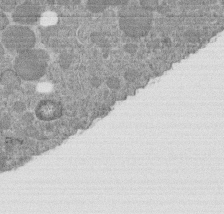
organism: C. elegans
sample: C. elegans embryo early stage